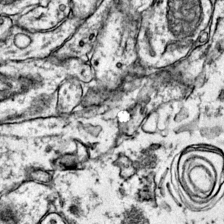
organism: Mouse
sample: Primary visual cortex